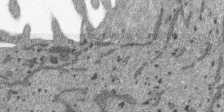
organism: Human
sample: Lung epithelial cells infected with SARS-CoV-2